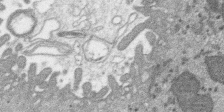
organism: Human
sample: Lung epithelial cells infected with SARS-CoV-2